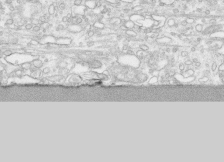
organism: Human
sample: CRL-1474